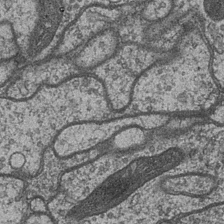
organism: Drosophila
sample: Optic medulla